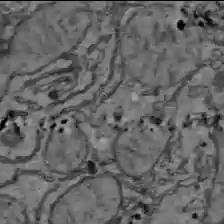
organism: C57BL Mouse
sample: Liver